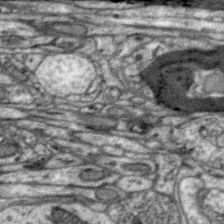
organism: Zebra finch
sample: Brain